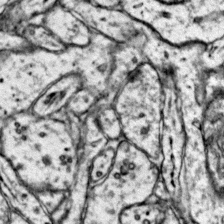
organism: Mouse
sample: Primary visual cortex